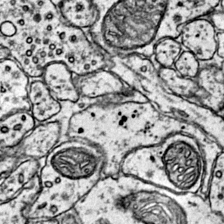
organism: Mouse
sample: Primary visual cortex